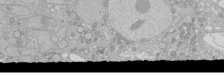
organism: Human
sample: Caco-2 cells